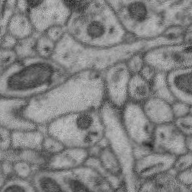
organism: Zebra finch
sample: Brain